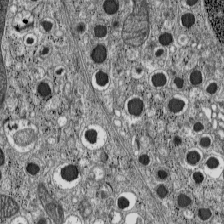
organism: C57BL Mouse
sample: Pancreatic islet